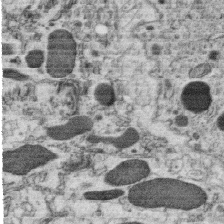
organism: C. elegans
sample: C. elegans oocyte; sperm cells